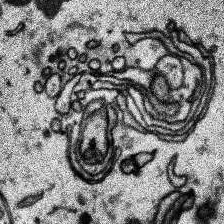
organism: Human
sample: Temporal Lobe